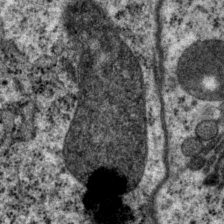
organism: P. pacificus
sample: Pharynx